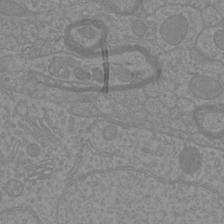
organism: Mouse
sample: Cortical neurons